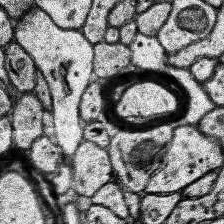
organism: Human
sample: Temporal Lobe